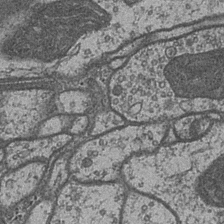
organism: Drosophila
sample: Optic medulla